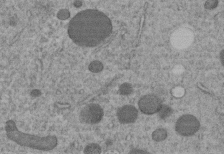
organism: C. elegans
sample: C. elegans embryo early stage